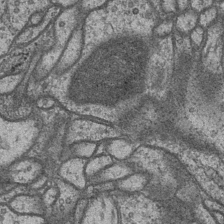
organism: Drosophila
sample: Optic medulla